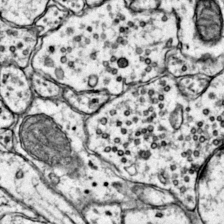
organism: Mouse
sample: Primary visual cortex